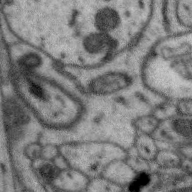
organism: Zebra finch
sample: Brain